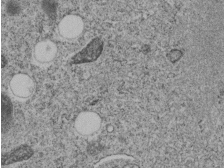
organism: C. elegans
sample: C. elegans embryo early stage